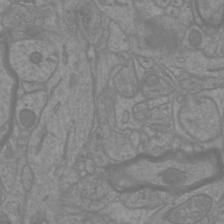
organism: Mouse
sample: Cortical neurons